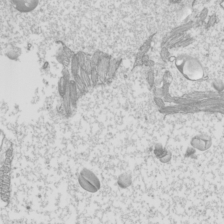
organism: Mouse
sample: Cilia; mouse epididymis